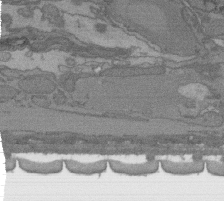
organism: C. elegans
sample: AFD neurons C. elegans